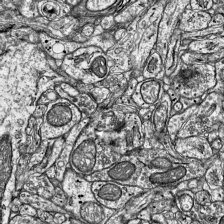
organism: Mouse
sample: Visual Cortex